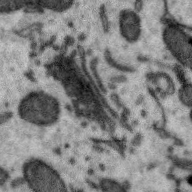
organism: Zebra finch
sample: Brain